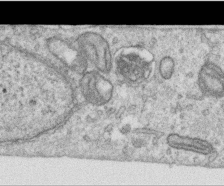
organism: Human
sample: Centriole in RPE cells